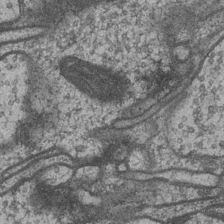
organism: Drosophila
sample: Optic medulla